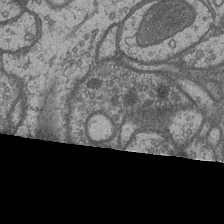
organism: Drosophila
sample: Optic medulla